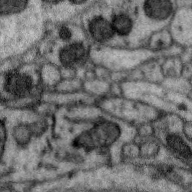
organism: Zebra finch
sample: Brain